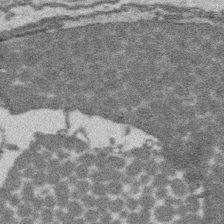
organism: Platynereis dumerilii